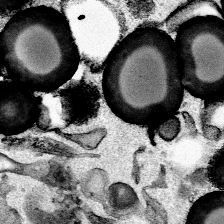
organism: Mouse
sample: Cancer cell death in ED-1 cells